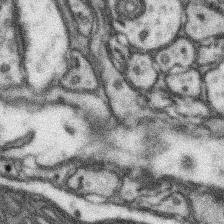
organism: Mouse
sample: Somatosensory cortex neuropil